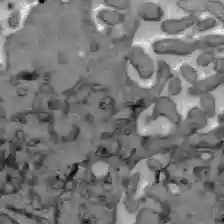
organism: C57BL Mouse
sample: Liver